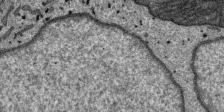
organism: Human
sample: Lung epithelial cells, uninfected (mock) control